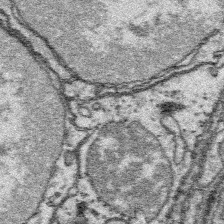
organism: Platynereis dumerilii